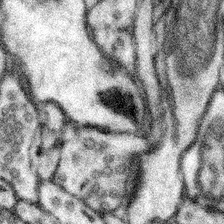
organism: Mouse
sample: Somatosensory cortex neuropil